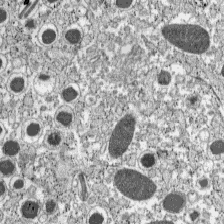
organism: C57BL Mouse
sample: Pancreatic islet